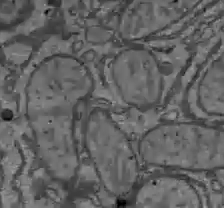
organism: C57BL Mouse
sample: Liver